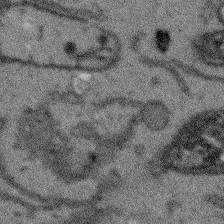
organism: Arabidopsis thaliana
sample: Root tip